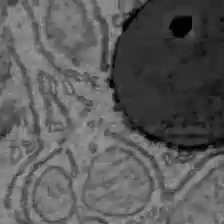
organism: C57BL Mouse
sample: Liver